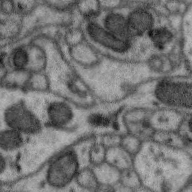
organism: Zebra finch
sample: Brain